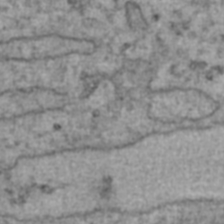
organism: Human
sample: Blood